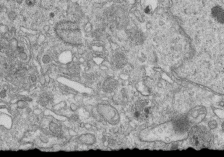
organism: Human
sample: HeLa cell HIV synapse